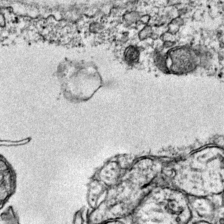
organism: Mouse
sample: Primary visual cortex